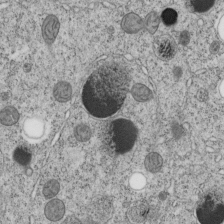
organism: C. elegans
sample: C. elegans embryo early stage